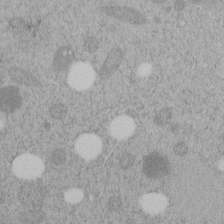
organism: C. elegans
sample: C. elegans embryo early stage